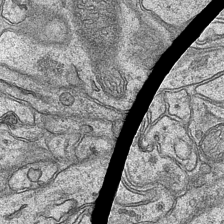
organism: Mouse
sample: CA1 Hippocampus